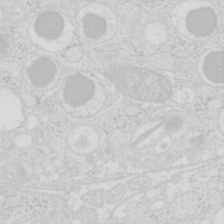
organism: Mouse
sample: Pancreas